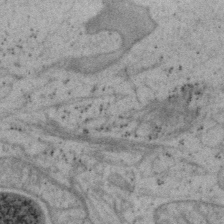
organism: Human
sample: HeLa cells